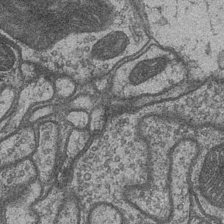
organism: Drosophila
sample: Optic medulla